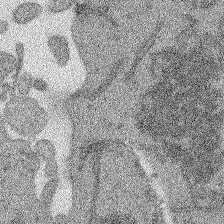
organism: Human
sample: HeLa cells